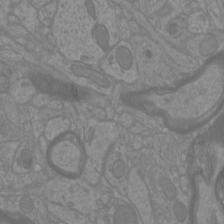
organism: Mouse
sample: Cortical neurons